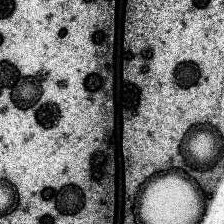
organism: Human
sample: Temporal Lobe